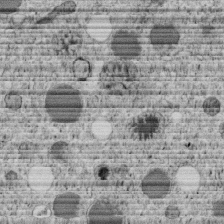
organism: C. elegans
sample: C. elegans embryo early stage